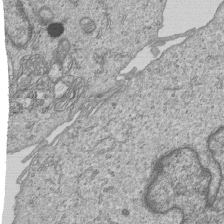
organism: Human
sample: MDA-MB-231 cells